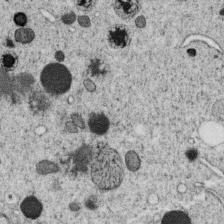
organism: C. elegans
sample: C. elegans oocyte; sperm cells